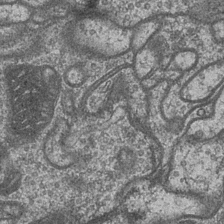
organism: Drosophila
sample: Optic medulla